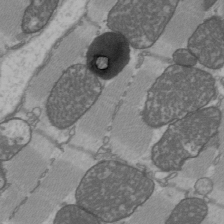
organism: C57BL Mouse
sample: Heart